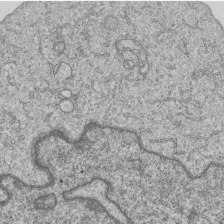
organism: Human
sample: MDA-MB-231 cells